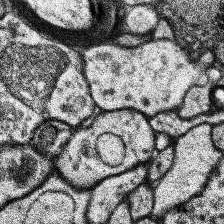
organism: Human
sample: Temporal Lobe